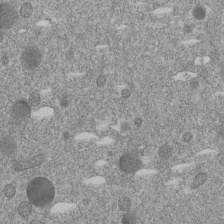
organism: C. elegans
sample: C. elegans embryo early stage